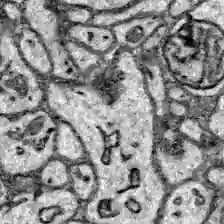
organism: Zebrafish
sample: Brain